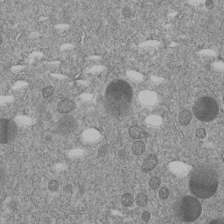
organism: C. elegans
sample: C. elegans embryo early stage